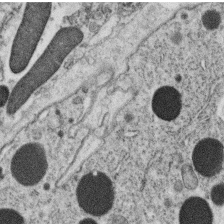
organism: C. elegans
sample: C. elegans oocyte; sperm cells